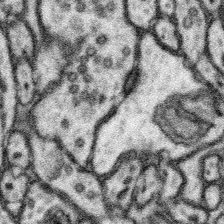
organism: Mouse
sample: Somatosensory cortex neuropil